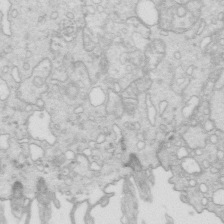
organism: Mouse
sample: Multiciliated cells